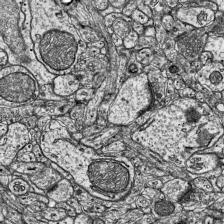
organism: Mouse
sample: Visual Cortex